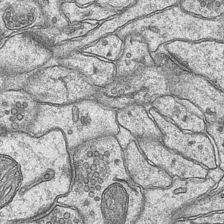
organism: Mouse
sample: CA1 Hippocampus